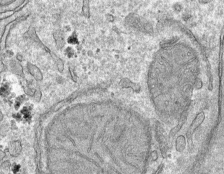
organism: Mouse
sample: Mouse hepatocytes